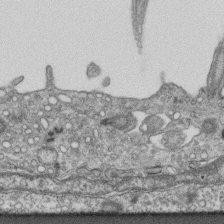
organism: Mouse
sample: Centriole in ependymal cells